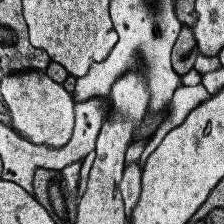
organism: Human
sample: Temporal Lobe